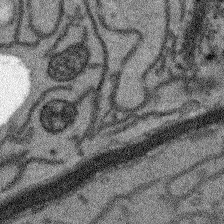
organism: Arabidopsis thaliana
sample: Root tip